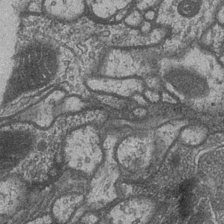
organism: Drosophila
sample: Optic medulla